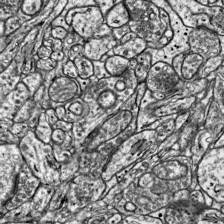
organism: Mouse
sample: Visual Cortex